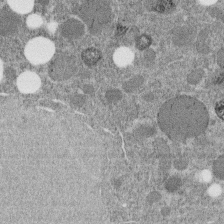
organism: C. elegans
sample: C. elegans embryo early stage